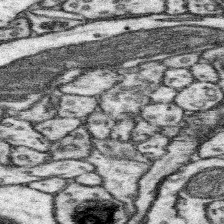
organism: Mouse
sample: Somatosensory cortex neuropil